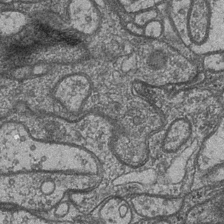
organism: Drosophila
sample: Optic medulla